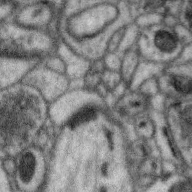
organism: Zebra finch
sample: Brain